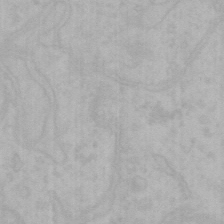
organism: Mouse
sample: Choroid plexus